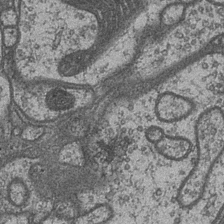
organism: Drosophila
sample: Optic medulla